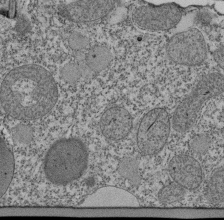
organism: Tetrahymena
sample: Cilia in tetrahymena